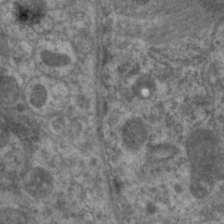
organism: C. elegans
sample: Pharynx